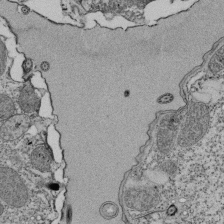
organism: Tetrahymena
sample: Cilia in tetrahymena